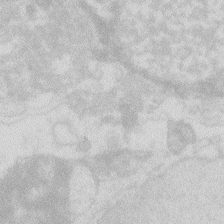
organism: Zebrafish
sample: Macrophage